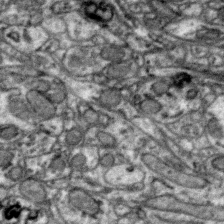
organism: Zebra finch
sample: Brain